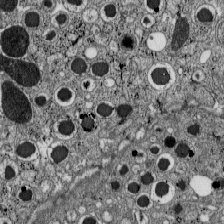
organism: C57BL Mouse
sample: Pancreatic islet